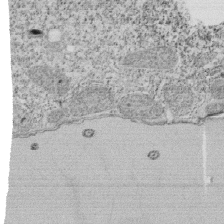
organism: Tetrahymena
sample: Cilia in tetrahymena